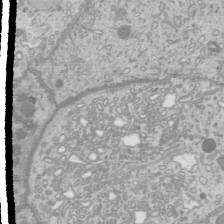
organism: Mouse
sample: Cilia; mouse epididymis